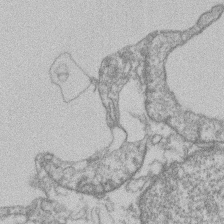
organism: Mouse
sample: T cell stromal cell synapse